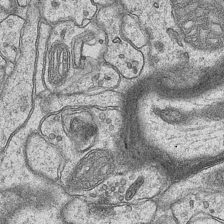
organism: Mouse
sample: CA1 Hippocampus